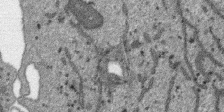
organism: Human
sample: Lung epithelial cells infected with SARS-CoV-2